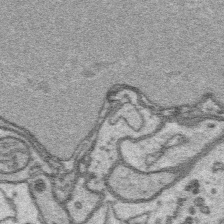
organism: Platynereis dumerilii